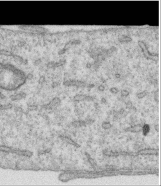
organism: Human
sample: Centriole in RPE cells